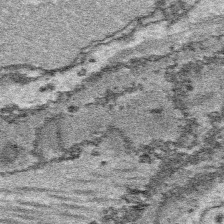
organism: Platynereis dumerilii